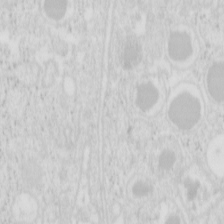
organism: Mouse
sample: Pancreas